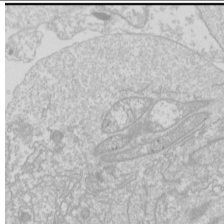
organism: Drosophila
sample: Cell division; meiosis; drosophila spermatocytes